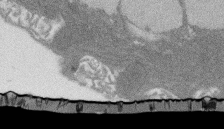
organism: Rat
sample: Salivary granule